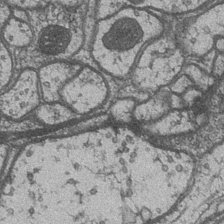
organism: Drosophila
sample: Optic medulla